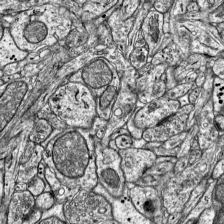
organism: Mouse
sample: Visual Cortex